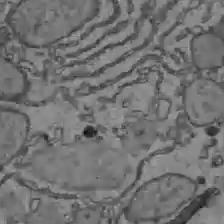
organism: C57BL Mouse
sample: Liver